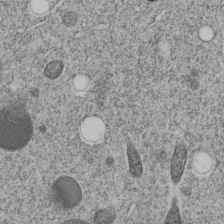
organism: C. elegans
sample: C. elegans embryo early stage